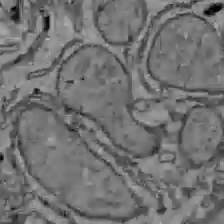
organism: C57BL Mouse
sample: Liver